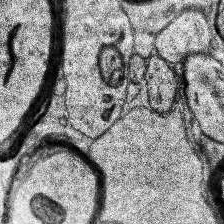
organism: Human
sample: Temporal Lobe